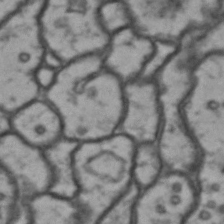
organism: Drosophila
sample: Brain